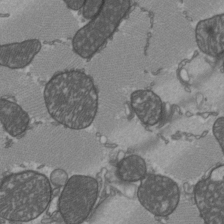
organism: C57BL Mouse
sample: Heart